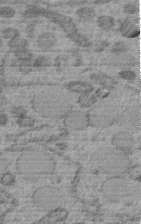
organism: C. elegans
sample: C. elegans embryo early stage